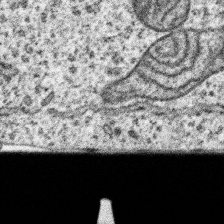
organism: Human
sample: HeLa cells